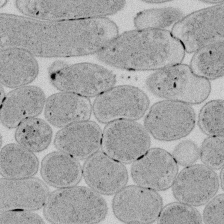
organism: E. coli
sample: Bacterial nucleoid